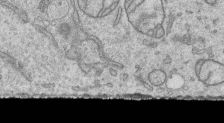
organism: Human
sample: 1205lu cells